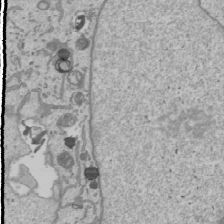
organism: Human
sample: Mitochondria in U2OS cells